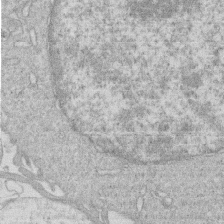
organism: Human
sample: Macrophage cells